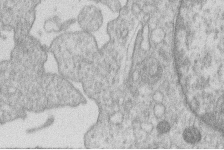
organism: Human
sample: Macrophage cells